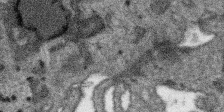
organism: Human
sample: Lung epithelial cells infected with SARS-CoV-2